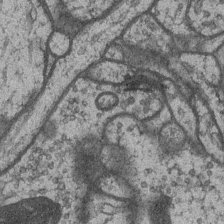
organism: Drosophila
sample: Optic medulla